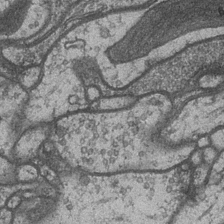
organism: Drosophila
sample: Optic medulla